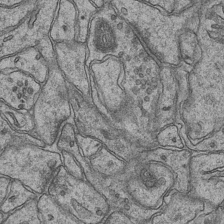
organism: Mouse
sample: CA1 Hippocampus